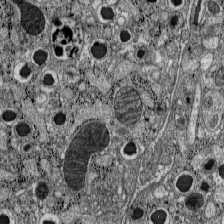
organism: C57BL Mouse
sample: Pancreatic islet